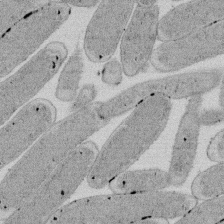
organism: E. coli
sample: Bacterial nucleoid